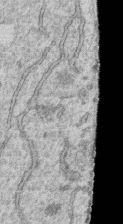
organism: Human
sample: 1205lu cells